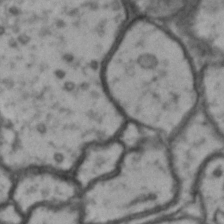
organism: Drosophila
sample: Brain